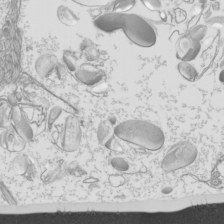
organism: Mouse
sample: Cilia; mouse epididymis